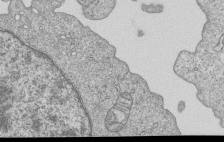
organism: Human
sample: MDA-MB-231 cells